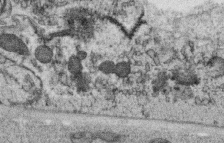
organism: C. elegans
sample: C. elegans oocyte; sperm cells